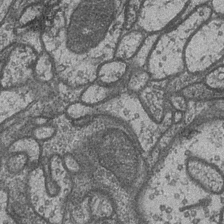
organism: Drosophila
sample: Optic medulla